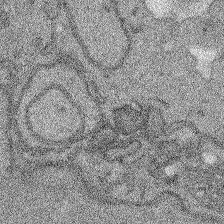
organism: Human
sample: HeLa cells